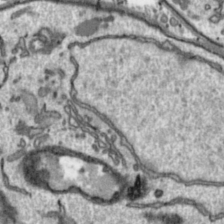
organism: Toxoplasma gondii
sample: Parasites in a vacuole inside a host cell